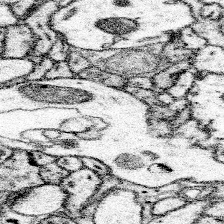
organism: Mouse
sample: Somatosensory cortex neuropil